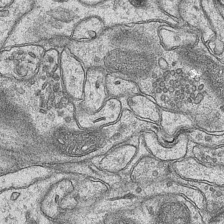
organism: Mouse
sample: CA1 Hippocampus